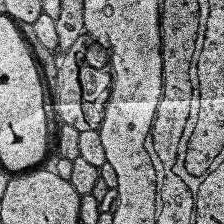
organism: Human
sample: Temporal Lobe